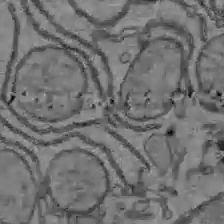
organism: C57BL Mouse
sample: Liver